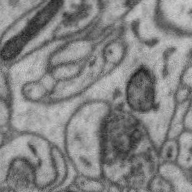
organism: Zebra finch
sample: Brain